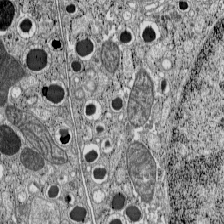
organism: C57BL Mouse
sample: Pancreatic islet